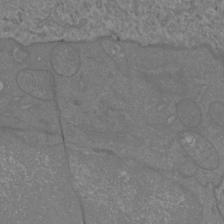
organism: Mouse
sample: Cortical neurons